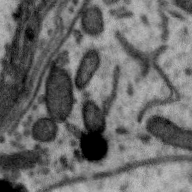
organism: Zebra finch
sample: Brain